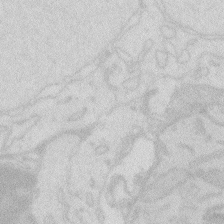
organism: Zebrafish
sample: Macrophage